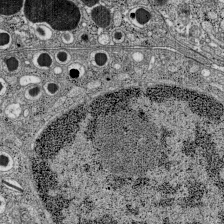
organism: C57BL Mouse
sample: Pancreatic islet